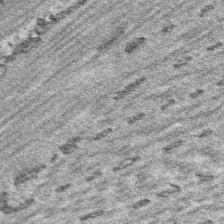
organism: Platynereis dumerilii